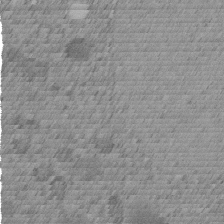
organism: C. elegans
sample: C. elegans embryo early stage